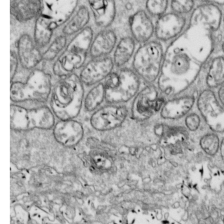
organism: Drosophila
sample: Cell division; meiosis; drosophila spermatocytes